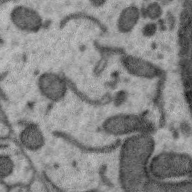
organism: Zebra finch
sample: Brain